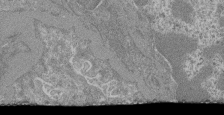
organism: Mouse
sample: Glomerulus